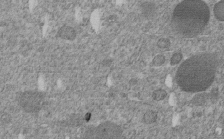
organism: C. elegans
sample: C. elegans embryo early stage